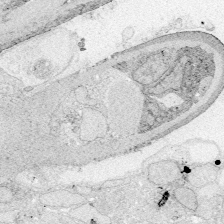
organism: Zebrafish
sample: Whole-Brain